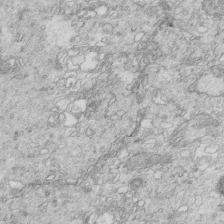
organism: Mouse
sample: Multiciliated cells